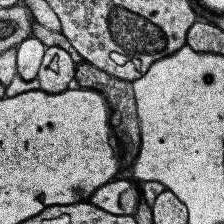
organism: Human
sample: Temporal Lobe